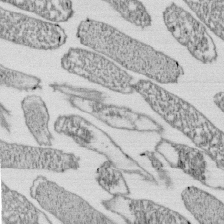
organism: E. coli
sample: Bacterial nucleoid